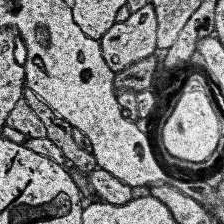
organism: Human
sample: Temporal Lobe